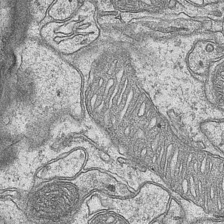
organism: Mouse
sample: CA1 Hippocampus